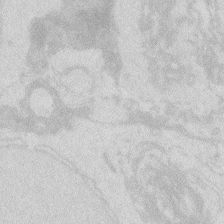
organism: Zebrafish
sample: Macrophage